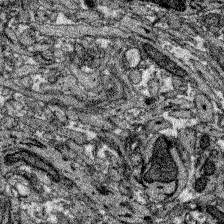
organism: Zebrafish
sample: Larval olfactory bulb